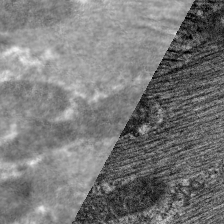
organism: C. elegans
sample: Pharynx